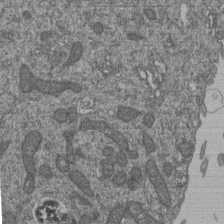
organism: Human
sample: Retinal organoid Rod and Cone cells